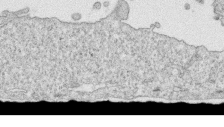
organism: Human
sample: HeLa cell HIV synapse